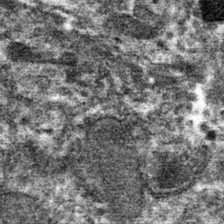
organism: Mouse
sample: Mouse hepatocytes